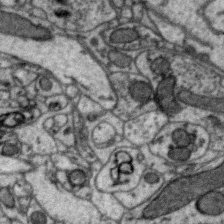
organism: Zebra finch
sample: Brain